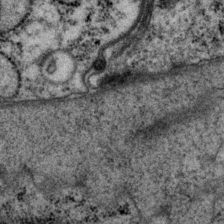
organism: P. pacificus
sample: Pharynx